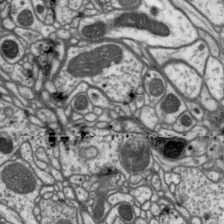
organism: Drosophila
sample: Protocerebral bridge